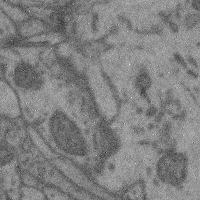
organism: Mouse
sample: Cerebral cortex